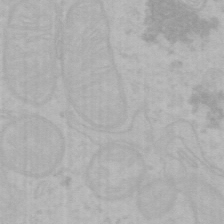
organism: Mouse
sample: Choroid plexus